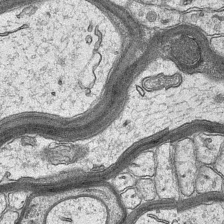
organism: Mouse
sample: CA1 Hippocampus